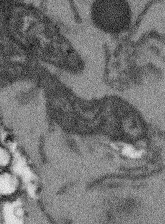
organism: Arabidopsis thaliana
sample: Root tip